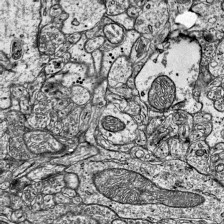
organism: Mouse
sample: Visual Cortex